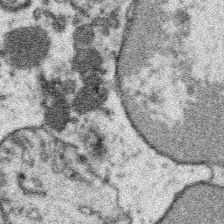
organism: Platynereis dumerilii